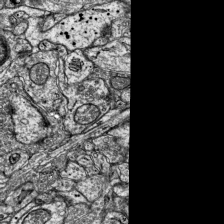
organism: Mouse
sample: Visual Cortex